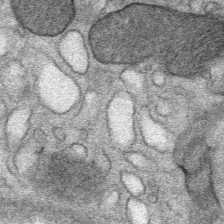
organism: Mouse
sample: Mouse Salivary gland